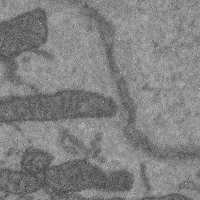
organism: Mouse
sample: Cerebral cortex